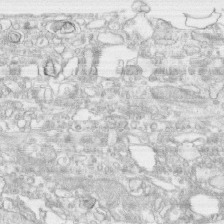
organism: Human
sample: CRL-1474